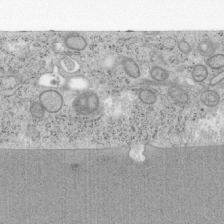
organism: Human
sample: HeLa cells